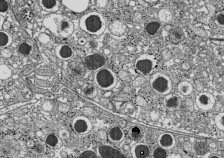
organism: C57BL Mouse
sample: Pancreatic islet